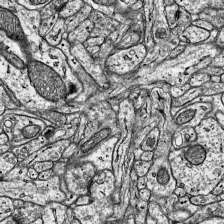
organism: Mouse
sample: Visual Cortex